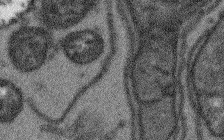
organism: Arabidopsis thaliana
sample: Root tip